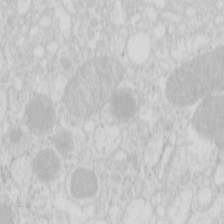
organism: Mouse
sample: Pancreas